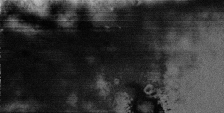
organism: Human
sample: Centriole in fibroblast cells